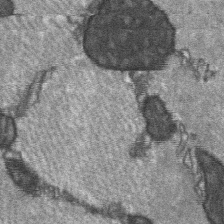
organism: C57BL Mouse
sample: Soleus